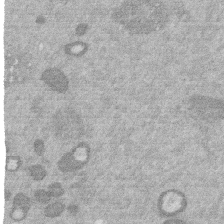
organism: Mouse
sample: Dividing mouse embryo 1 cell stage